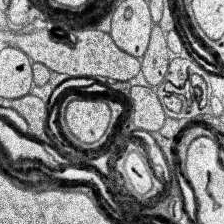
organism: Human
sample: Temporal Lobe